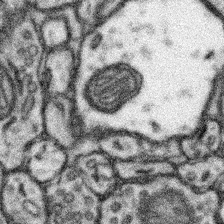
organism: Mouse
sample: Somatosensory cortex neuropil